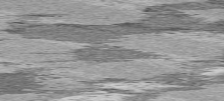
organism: C57BL Mouse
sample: Heart